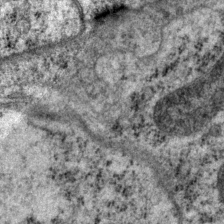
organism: P. pacificus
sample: Pharynx